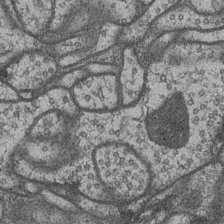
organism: Drosophila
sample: Optic medulla